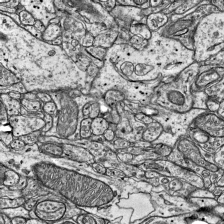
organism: Mouse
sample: Visual Cortex